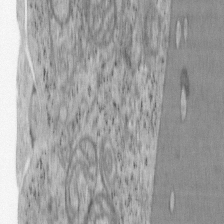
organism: Human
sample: HeLa cells